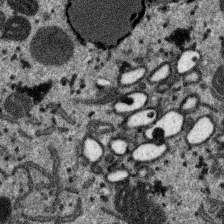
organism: Human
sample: Lung epithelial cells infected with SARS-CoV-2